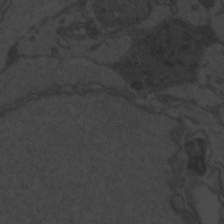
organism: Zebrafish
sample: Macrophage infected with Toxoplasma gondii